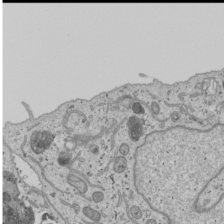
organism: Human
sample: Mitochondria in U2OS cells